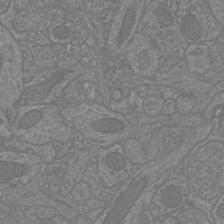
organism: Mouse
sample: Cortical neurons